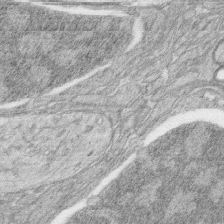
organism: Zebrafish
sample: synaptic ribbons in rod cells and cone cells